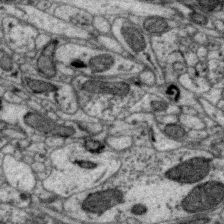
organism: Zebra finch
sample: Brain